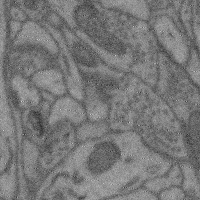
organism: Mouse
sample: Cerebral cortex